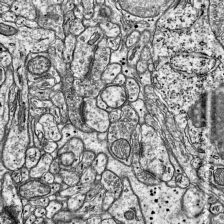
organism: Mouse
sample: Visual Cortex